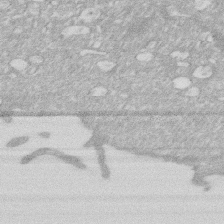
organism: Human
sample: HIV infected U937 cells